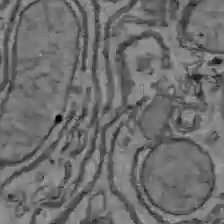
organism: C57BL Mouse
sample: Liver